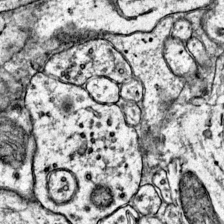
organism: Mouse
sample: Primary visual cortex